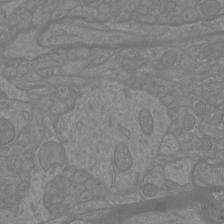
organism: Mouse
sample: Cortical neurons